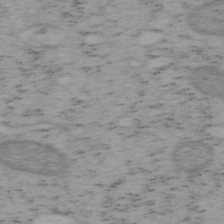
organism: Mouse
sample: OT-I killer T cells with ID8 ovarian cancer cells